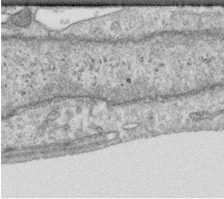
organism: Human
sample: Centriole in RPE cells